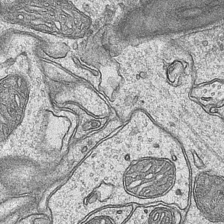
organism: Mouse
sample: CA1 Hippocampus